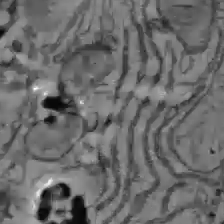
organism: C57BL Mouse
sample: Liver